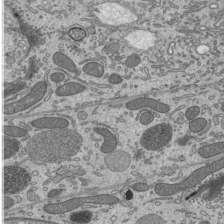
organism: Mouse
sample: Mouse epididymis efferent ductule cilia